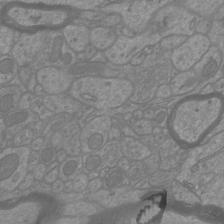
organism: Mouse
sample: Cortical neurons